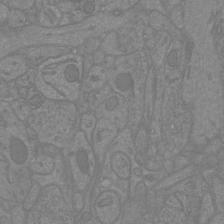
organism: Mouse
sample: Cortical neurons